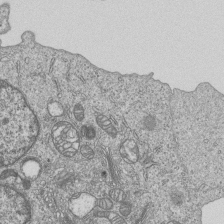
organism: Human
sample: MDA-MB-231 cells